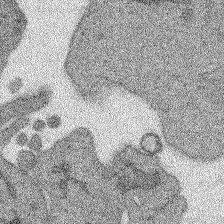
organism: Human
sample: HeLa cells